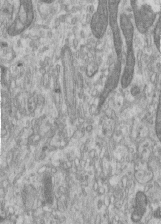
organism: Human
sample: Centriole in RPE cells